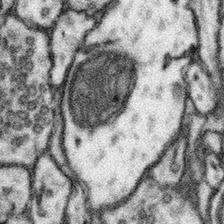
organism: Mouse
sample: Somatosensory cortex neuropil